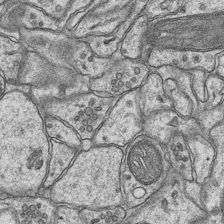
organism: Mouse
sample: CA1 Hippocampus